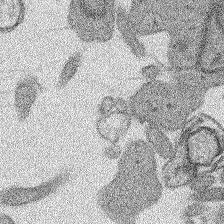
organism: Human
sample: HeLa cells